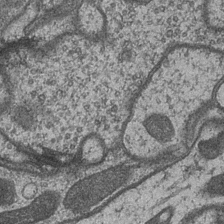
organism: Drosophila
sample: Optic medulla